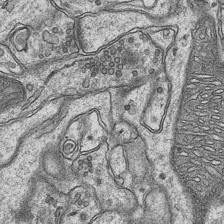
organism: Mouse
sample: CA1 Hippocampus